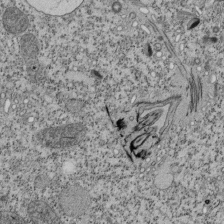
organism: Tetrahymena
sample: Cilia in tetrahymena